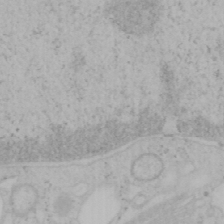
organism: Mouse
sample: OT-I killer T cells with ID8 ovarian cancer cells